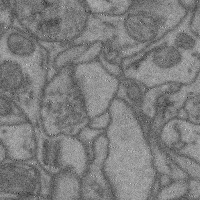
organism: Mouse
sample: Cerebral cortex